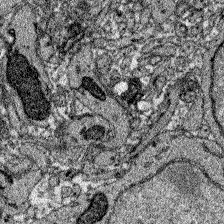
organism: Zebrafish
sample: Larval olfactory bulb